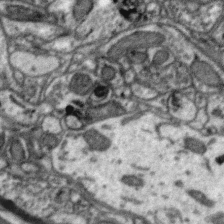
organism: Zebra finch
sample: Brain